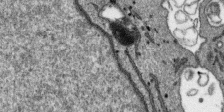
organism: Human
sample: Lung epithelial cells, uninfected (mock) control